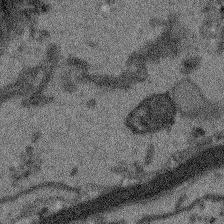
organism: Arabidopsis thaliana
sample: Root tip